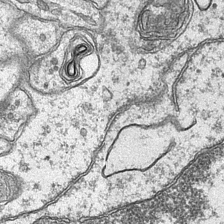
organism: Mouse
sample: CA1 Hippocampus